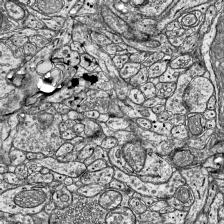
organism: Mouse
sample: Visual Cortex